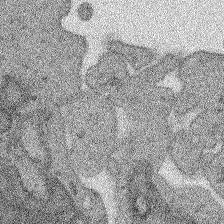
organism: Human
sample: HeLa cells